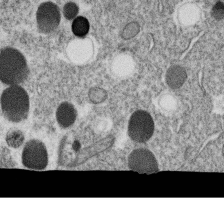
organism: C. elegans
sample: C. elegans oocyte; sperm cells